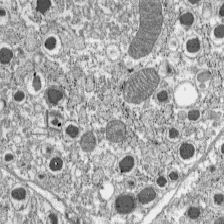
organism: C57BL Mouse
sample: Pancreatic islet